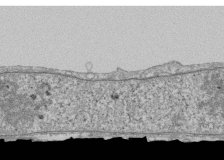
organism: Human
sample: Fibroblast cells